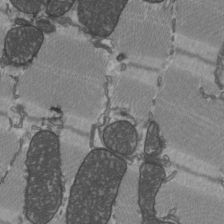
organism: C57BL Mouse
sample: Heart